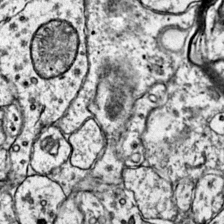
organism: Mouse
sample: Primary visual cortex